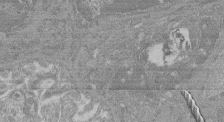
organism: Mouse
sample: Glomerulus